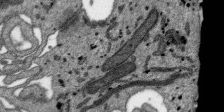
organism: Human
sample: Lung epithelial cells, uninfected (mock) control